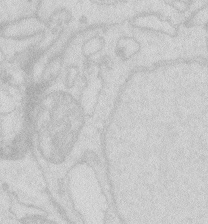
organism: Zebrafish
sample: Macrophage